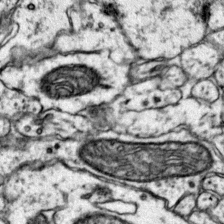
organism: Mouse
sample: Primary visual cortex